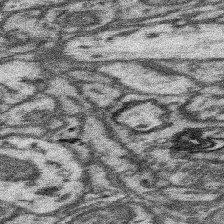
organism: Mouse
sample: Somatosensory cortex neuropil